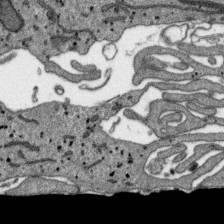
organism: Human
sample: Lung epithelial cells, uninfected (mock) control